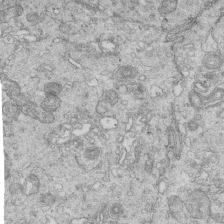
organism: Mouse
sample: Multiciliated cells